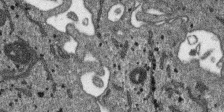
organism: Human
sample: Lung epithelial cells infected with SARS-CoV-2